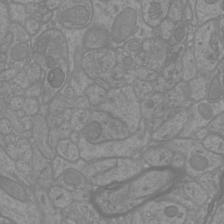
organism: Mouse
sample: Cortical neurons